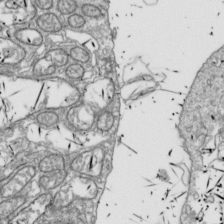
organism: Drosophila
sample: Cell division; meiosis; drosophila spermatocytes